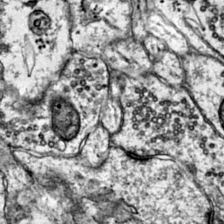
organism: Mouse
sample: Primary visual cortex